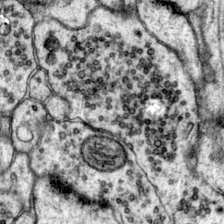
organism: Mouse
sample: Primary visual cortex